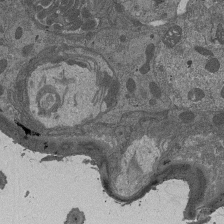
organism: Drosophila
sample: Antenna